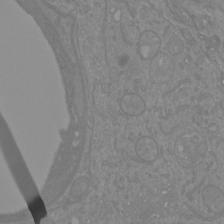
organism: Mouse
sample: Cortical neurons